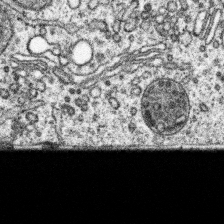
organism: Human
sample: HeLa cells